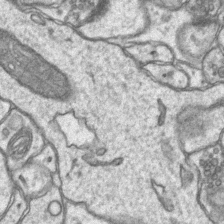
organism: Mouse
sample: CA1 Hippocampus